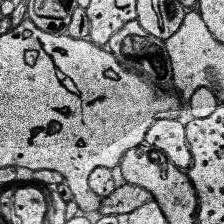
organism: Human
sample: Temporal Lobe